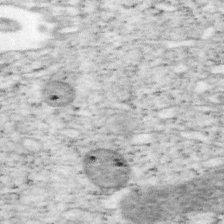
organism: Mouse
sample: OT-I killer T cells with ID8 ovarian cancer cells